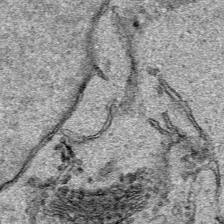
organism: Human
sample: Mitochondria in HCT116 cells